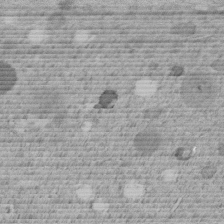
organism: C. elegans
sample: C. elegans embryo early stage